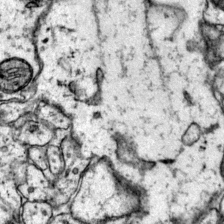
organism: Mouse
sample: Primary visual cortex